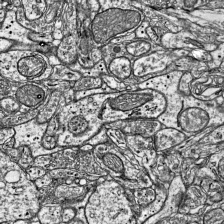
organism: Mouse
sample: Visual Cortex